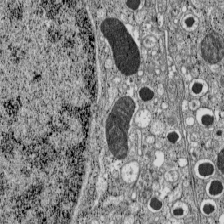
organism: C57BL Mouse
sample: Pancreatic islet